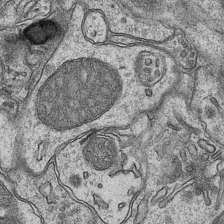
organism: Mouse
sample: CA1 Hippocampus